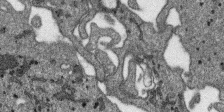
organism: Human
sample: Lung epithelial cells infected with SARS-CoV-2